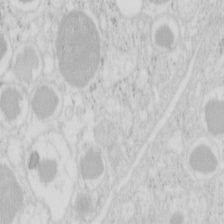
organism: Mouse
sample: Pancreas